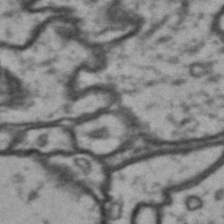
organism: Drosophila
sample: Brain